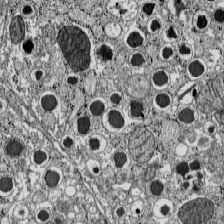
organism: C57BL Mouse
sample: Pancreatic islet